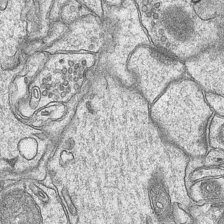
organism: Mouse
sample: CA1 Hippocampus